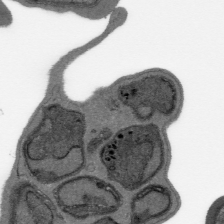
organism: Plasmodium falciparum